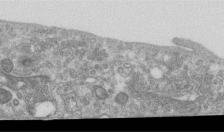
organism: Human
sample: Centriole in RPE cells